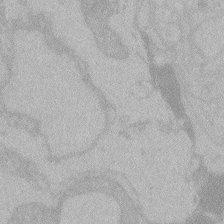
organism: Zebrafish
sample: Macrophage infected with Toxoplasma gondii